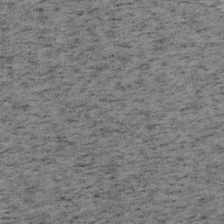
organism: Mouse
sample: OT-I killer T cells with ID8 ovarian cancer cells